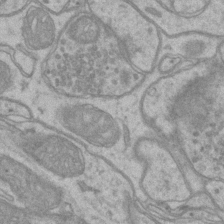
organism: Mouse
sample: CA1 Hippocampus